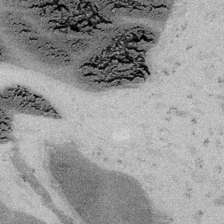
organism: Embia sp.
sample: Silk gland